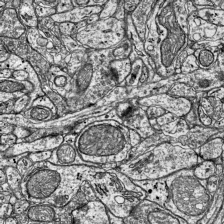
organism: Mouse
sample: Visual Cortex